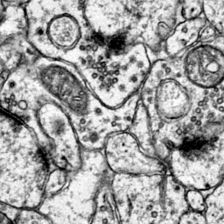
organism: Mouse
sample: Primary visual cortex